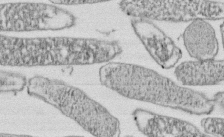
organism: E. coli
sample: Bacterial nucleoid